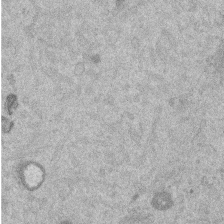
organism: Mouse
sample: Dividing mouse embryo 1 cell stage